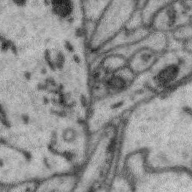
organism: Zebra finch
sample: Brain